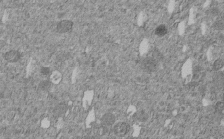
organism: C. elegans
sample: C. elegans embryo early stage